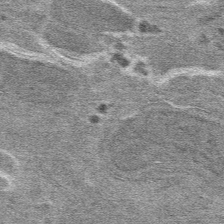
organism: Mouse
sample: Mouse hepatocytes